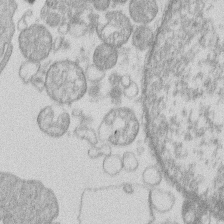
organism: Human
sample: Macrophage cells